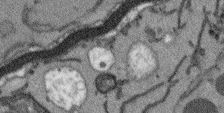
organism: Arabidopsis thaliana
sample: Root tip